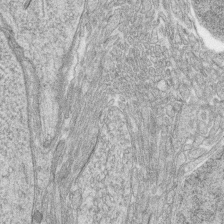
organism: Zebrafish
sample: synaptic ribbons in rod cells and cone cells